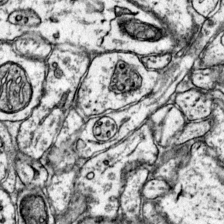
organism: Mouse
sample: Primary visual cortex